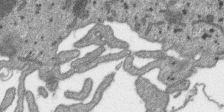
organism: Human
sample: Lung epithelial cells infected with SARS-CoV-2